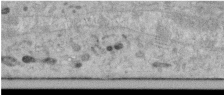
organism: Human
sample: Centriole in RPE cells